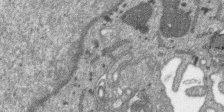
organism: Human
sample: Lung epithelial cells infected with SARS-CoV-2